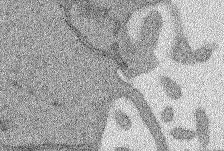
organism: Human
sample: HeLa cells